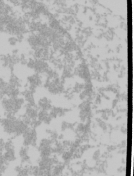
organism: Mouse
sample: Cancer cell death in ED-1 cells